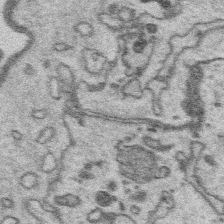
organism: Platynereis dumerilii